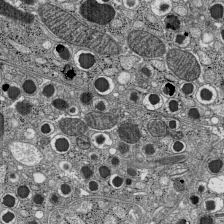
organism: C57BL Mouse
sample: Pancreatic islet